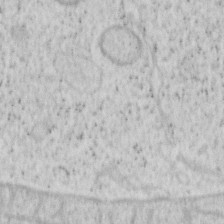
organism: Human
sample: HeLa cells